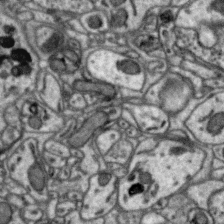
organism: Zebra finch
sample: Brain